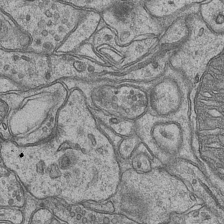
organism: Mouse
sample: CA1 Hippocampus